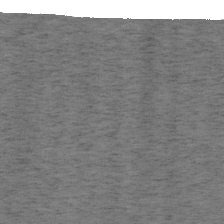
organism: Mouse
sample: OT-I killer T cells with ID8 ovarian cancer cells